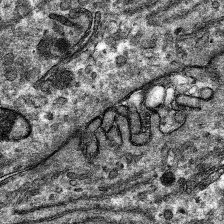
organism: Mouse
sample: Mouse hepatocytes